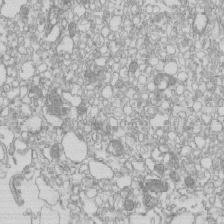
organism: Mouse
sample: Macrophages